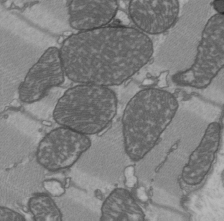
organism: C57BL Mouse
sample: Heart